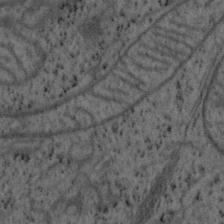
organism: Human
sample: HeLa cells